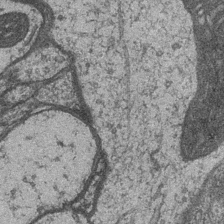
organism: Drosophila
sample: Optic medulla